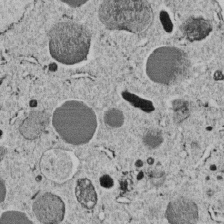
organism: C. elegans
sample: C. elegans embryo early stage